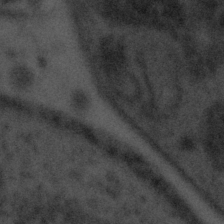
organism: Tuwongella immobilis